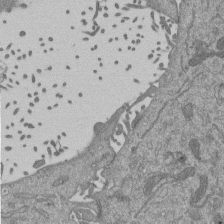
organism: Mouse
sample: ED-1 cell nuclei; centrioles